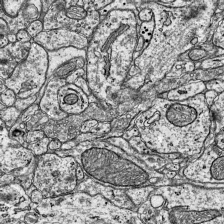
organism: Mouse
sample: Visual Cortex